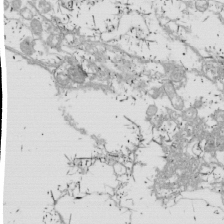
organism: Drosophila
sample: Cell division; meiosis; drosophila spermatocytes